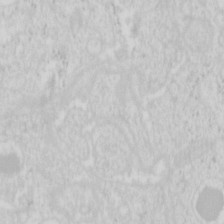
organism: Mouse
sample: Pancreas